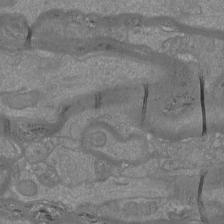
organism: Mouse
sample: Cortical neurons